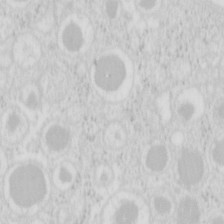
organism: Mouse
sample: Pancreas